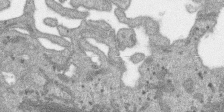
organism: Human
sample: Lung epithelial cells infected with SARS-CoV-2